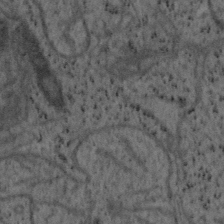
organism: Human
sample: HeLa cells